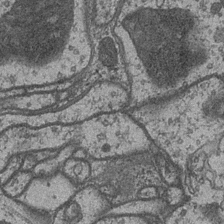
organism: Drosophila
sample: Optic medulla